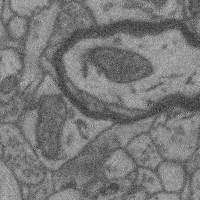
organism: Mouse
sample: Cerebral cortex